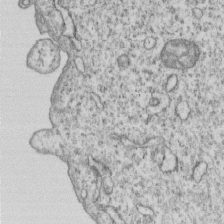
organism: Human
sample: MDA-MB-231 cells